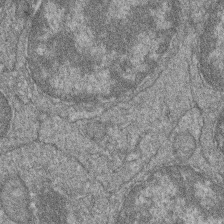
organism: Zebrafish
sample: Cilia; retinal pigment epithelium